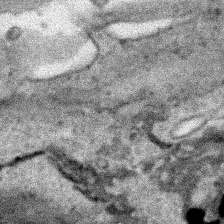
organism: Human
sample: Mitochondria in HCT116 cells